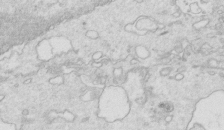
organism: Mouse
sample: Multiciliated cells